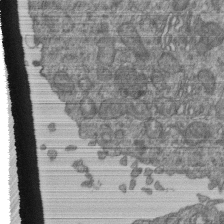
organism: Human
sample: Retinal organoid Rod and Cone cells